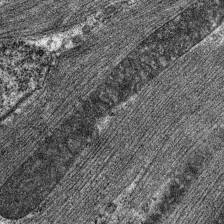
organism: C. elegans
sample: Pharynx